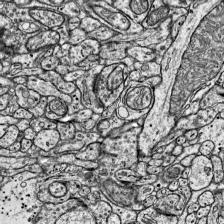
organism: Mouse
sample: Visual Cortex